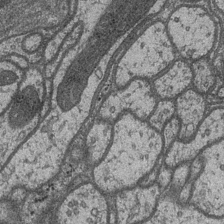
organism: Drosophila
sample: Optic medulla